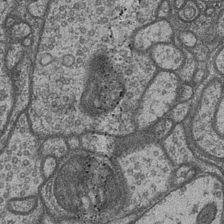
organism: Drosophila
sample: Optic medulla